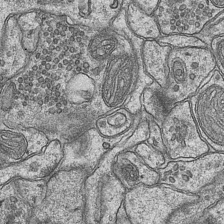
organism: Mouse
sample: CA1 Hippocampus